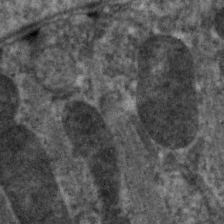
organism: C. elegans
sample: Pharynx